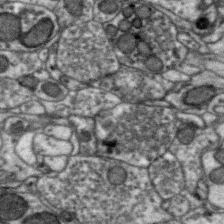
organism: Zebra finch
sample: Brain